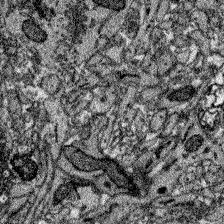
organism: Zebrafish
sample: Larval olfactory bulb